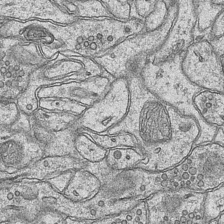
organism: Mouse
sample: CA1 Hippocampus